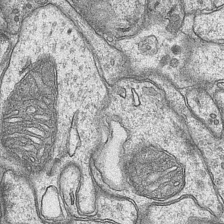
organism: Mouse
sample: CA1 Hippocampus